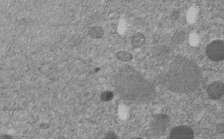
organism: C. elegans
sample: C. elegans embryo early stage